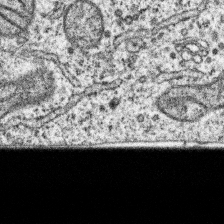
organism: Human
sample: HeLa cells